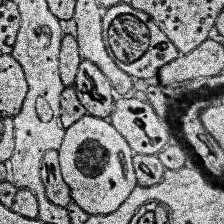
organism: Human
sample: Temporal Lobe